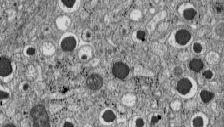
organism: C57BL Mouse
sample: Pancreatic islet